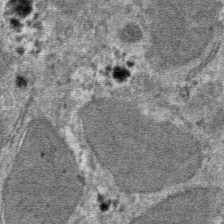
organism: Mouse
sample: Mouse hepatocytes